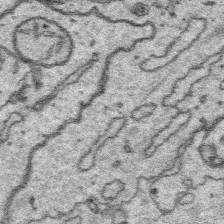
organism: Platynereis dumerilii